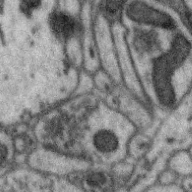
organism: Zebra finch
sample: Brain